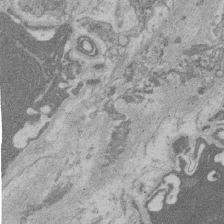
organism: Rat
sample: Salivary granule